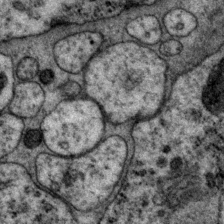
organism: P. pacificus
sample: Pharynx